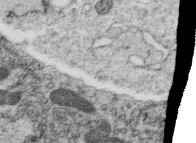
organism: C. elegans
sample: C. elegans oocyte; sperm cells